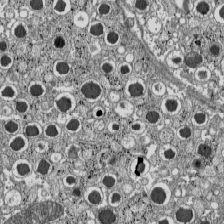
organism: C57BL Mouse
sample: Pancreatic islet